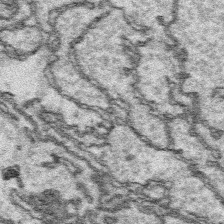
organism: Platynereis dumerilii